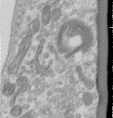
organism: Human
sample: Centriole in RPE cells